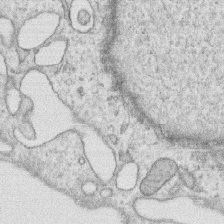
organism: Human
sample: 1205lu cells